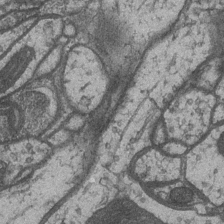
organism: Drosophila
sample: Optic medulla